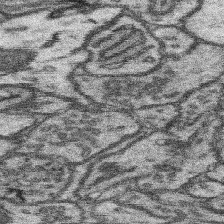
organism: Mouse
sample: Somatosensory cortex neuropil